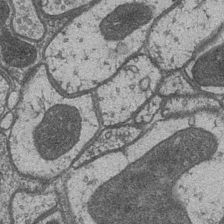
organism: Drosophila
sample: Optic medulla